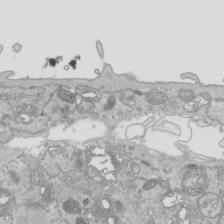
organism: Human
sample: Mitochondria in HCT116 cells